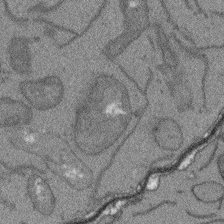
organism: Arabidopsis thaliana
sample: Root tip